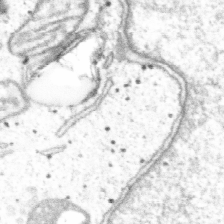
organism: Human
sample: HeLa cells